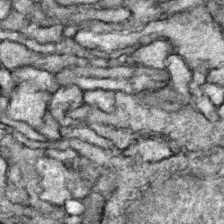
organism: Zebrafish